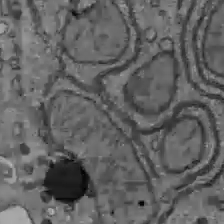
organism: C57BL Mouse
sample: Liver